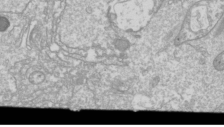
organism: Drosophila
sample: Cell division; meiosis; drosophila spermatocytes